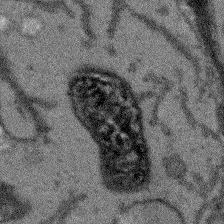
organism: Arabidopsis thaliana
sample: Root tip